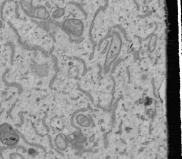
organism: Human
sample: Mitochondria in U2OS cells